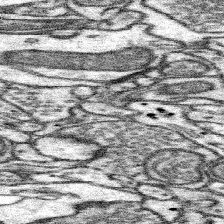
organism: Mouse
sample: Somatosensory cortex neuropil